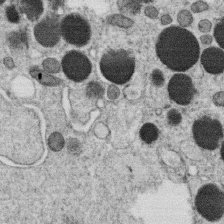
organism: C. elegans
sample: C. elegans oocyte; sperm cells